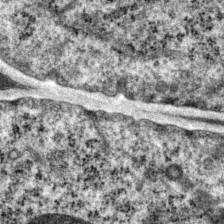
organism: P. pacificus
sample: Pharynx